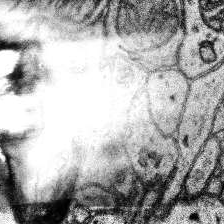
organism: Human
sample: Temporal Lobe